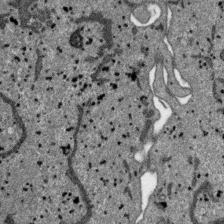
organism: Human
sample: Lung epithelial cells, uninfected (mock) control